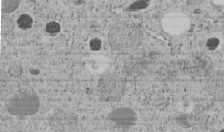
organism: C. elegans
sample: C. elegans embryo early stage